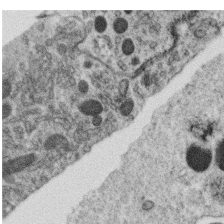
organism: C. elegans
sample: C. elegans oocyte; sperm cells